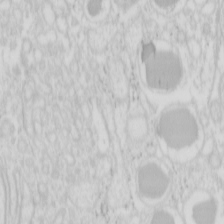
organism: Mouse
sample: Pancreas